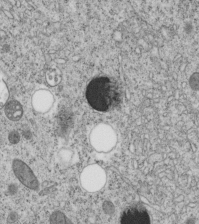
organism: C. elegans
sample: C. elegans embryo early stage